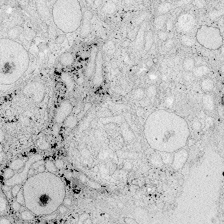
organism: Zebrafish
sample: Whole-Brain